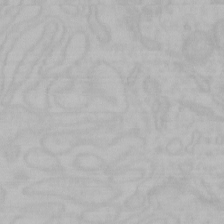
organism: Mouse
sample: Choroid plexus